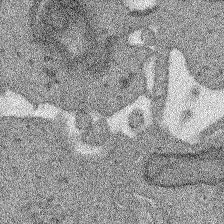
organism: Human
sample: HeLa cells